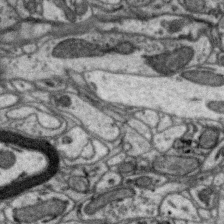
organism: Zebra finch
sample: Brain